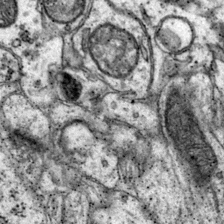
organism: Mouse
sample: Primary visual cortex